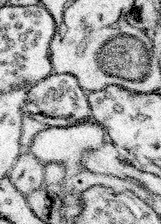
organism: Mouse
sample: Somatosensory cortex neuropil